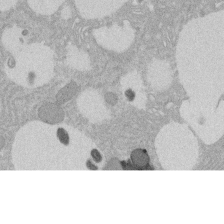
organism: Rat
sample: Salivary granule